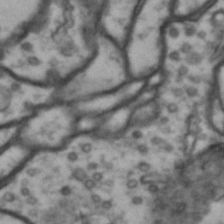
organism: Drosophila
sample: Brain